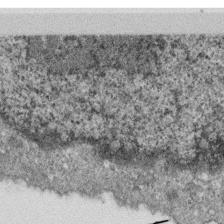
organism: African green monkey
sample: Vero E6 cells infected with SARS-CoV-2